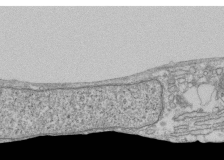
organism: Human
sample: Fibroblast cells